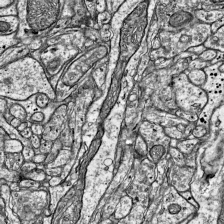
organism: Mouse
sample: Visual Cortex